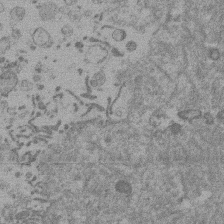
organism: Mouse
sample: Dividing mouse embryo 1 cell stage